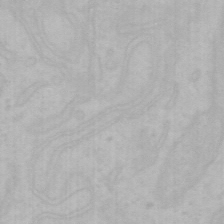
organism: Mouse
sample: Choroid plexus